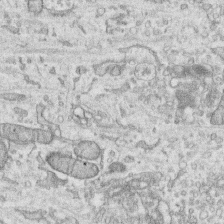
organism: Human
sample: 1205lu cells